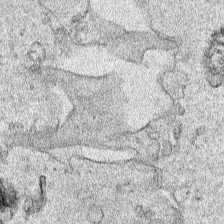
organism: Human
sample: Mitochondria in HCT116 cells